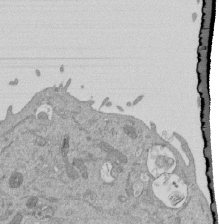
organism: Mouse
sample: ED-1 cell nuclei; centrioles